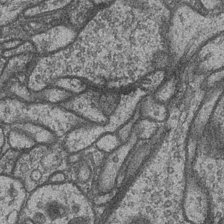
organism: Drosophila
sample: Optic medulla